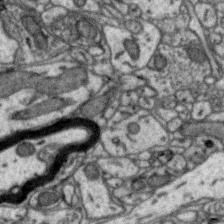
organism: Zebra finch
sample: Brain